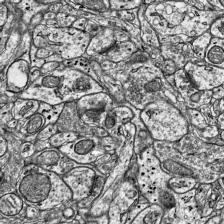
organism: Mouse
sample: Visual Cortex